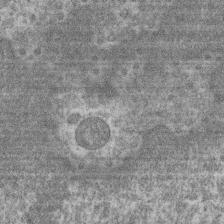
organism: Mouse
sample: T cell stromal cell synapse